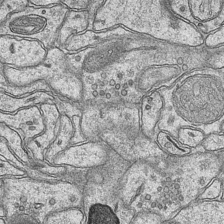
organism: Mouse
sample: CA1 Hippocampus